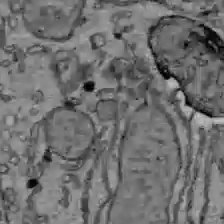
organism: C57BL Mouse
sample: Liver